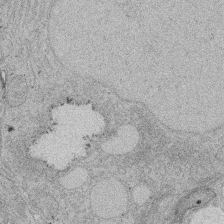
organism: Rat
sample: Salivary granule